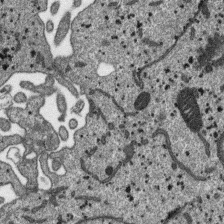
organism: Human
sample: Lung epithelial cells infected with SARS-CoV-2